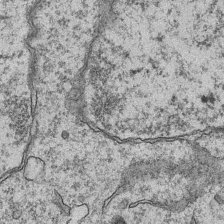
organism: Mouse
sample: CA1 Hippocampus